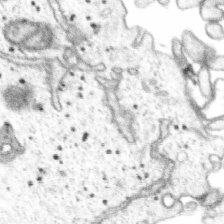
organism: Human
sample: HeLa cells